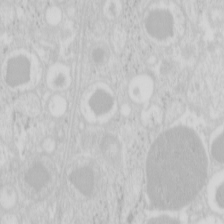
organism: Mouse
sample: Pancreas